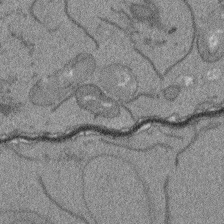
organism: Arabidopsis thaliana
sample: Root tip